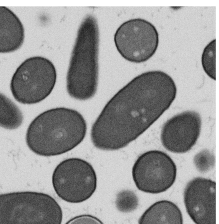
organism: B. subtilis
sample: Bacterial spore